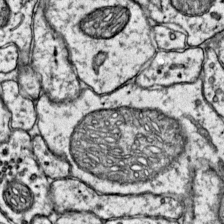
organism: Mouse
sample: Primary visual cortex